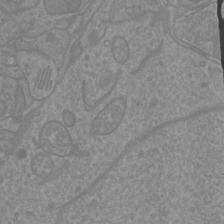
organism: Mouse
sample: Cortical neurons